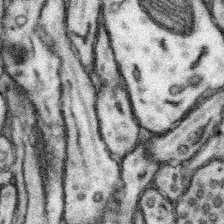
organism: Mouse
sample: Somatosensory cortex neuropil